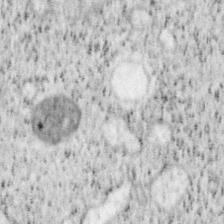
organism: Mouse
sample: OT-I killer T cells with ID8 ovarian cancer cells